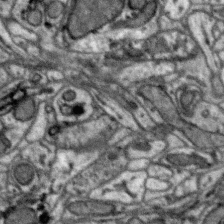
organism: Zebra finch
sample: Brain